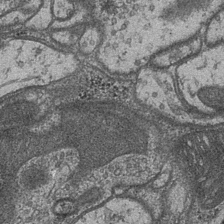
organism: Drosophila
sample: Optic medulla